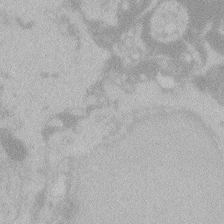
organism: Zebrafish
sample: Macrophage infected with Toxoplasma gondii